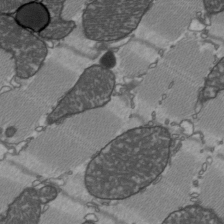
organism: C57BL Mouse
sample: Heart